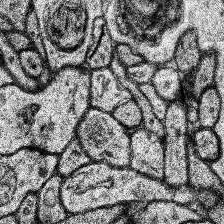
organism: Human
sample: Temporal Lobe